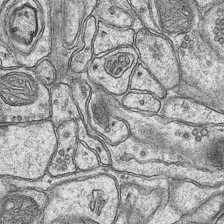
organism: Mouse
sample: CA1 Hippocampus